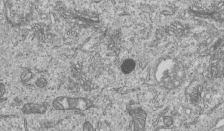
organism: Human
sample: MDA-MB-231 cells